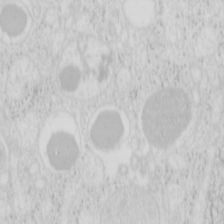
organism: Mouse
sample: Pancreas